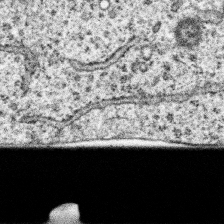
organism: Human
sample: HeLa cells